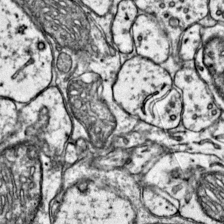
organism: Mouse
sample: Primary visual cortex